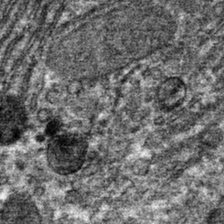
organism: Mouse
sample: Mouse hepatocytes